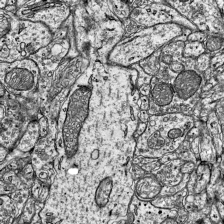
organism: Mouse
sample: Visual Cortex